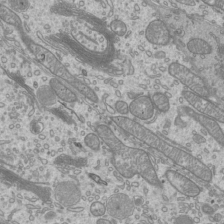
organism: Mouse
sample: Cilia; mouse epididymis